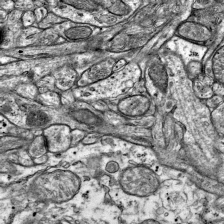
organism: Mouse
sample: Visual Cortex